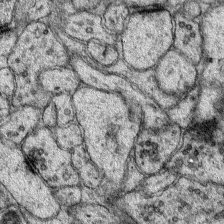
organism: Mouse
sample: Primary visual cortex